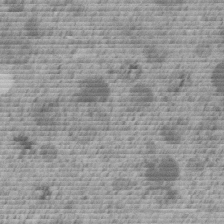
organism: C. elegans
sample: C. elegans embryo early stage